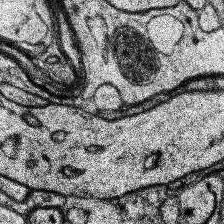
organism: Human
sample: Temporal Lobe